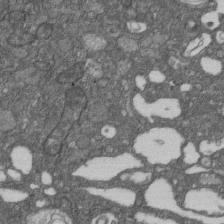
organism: Drosophila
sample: Nephrocyte